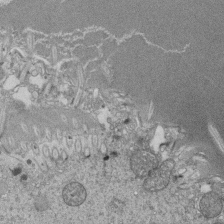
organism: Tetrahymena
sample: Cilia in tetrahymena